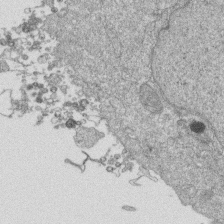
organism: Human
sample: HeLa cell HIV synapse